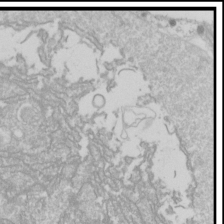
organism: Drosophila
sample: Cell division; meiosis; drosophila spermatocytes